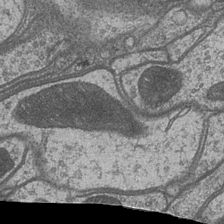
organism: Drosophila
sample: Optic medulla